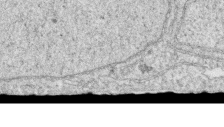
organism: Human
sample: HeLa cell HIV synapse